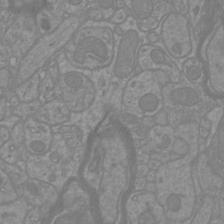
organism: Mouse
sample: Cortical neurons